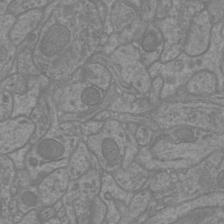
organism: Mouse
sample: Cortical neurons